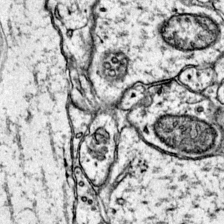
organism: Mouse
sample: Primary visual cortex